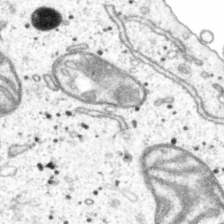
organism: Human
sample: HeLa cells